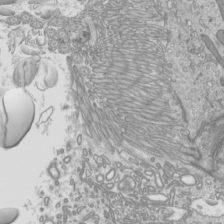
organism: Mouse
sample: Cilia; mouse epididymis